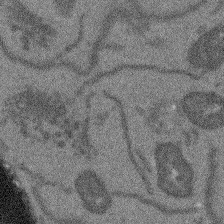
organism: Arabidopsis thaliana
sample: Root tip